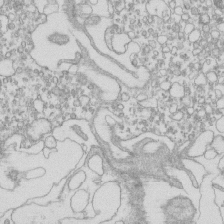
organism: Mouse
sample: Macrophages